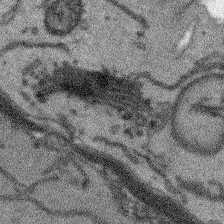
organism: Arabidopsis thaliana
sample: Root tip